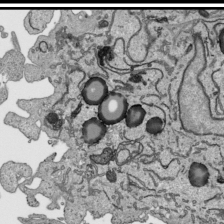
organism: Human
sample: Mitochondria in HCT116 cells